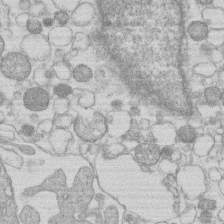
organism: Human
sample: Macrophage cells